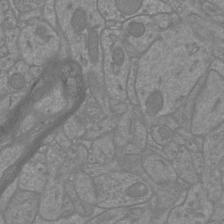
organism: Mouse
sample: Cortical neurons